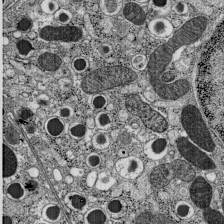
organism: C57BL Mouse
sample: Pancreatic islet